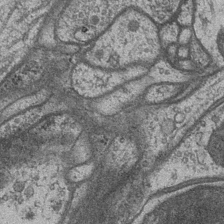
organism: Drosophila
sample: Optic medulla